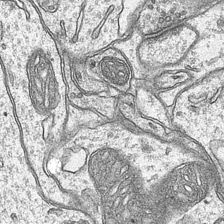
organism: Mouse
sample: CA1 Hippocampus